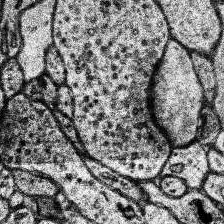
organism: Human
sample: Temporal Lobe